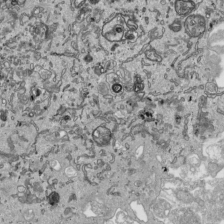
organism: Human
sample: Mitochondria in HCT116 cells